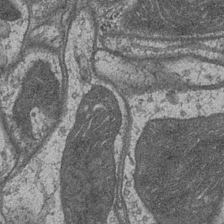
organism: Drosophila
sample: Optic medulla